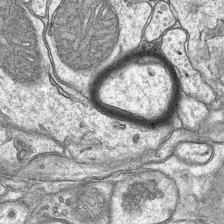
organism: Mouse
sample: CA1 Hippocampus